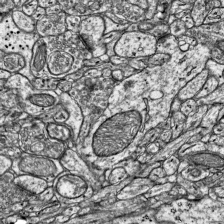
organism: Mouse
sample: Visual Cortex